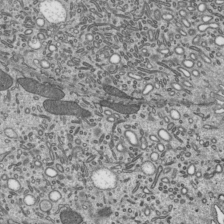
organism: Mouse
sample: Mouse epididymis efferent ductule cilia